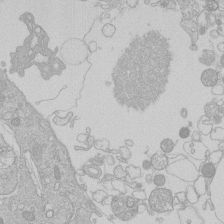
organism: Human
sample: Macrophage cells